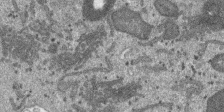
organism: Human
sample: Lung epithelial cells infected with SARS-CoV-2